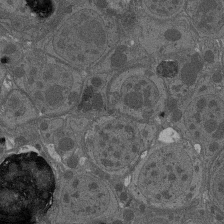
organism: Drosophila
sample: Antenna